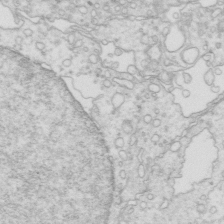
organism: Mouse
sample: Multiciliated cells